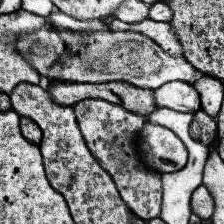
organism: Human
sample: Temporal Lobe